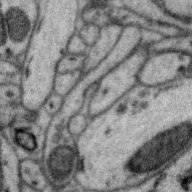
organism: Zebra finch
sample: Brain